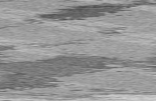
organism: C57BL Mouse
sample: Heart